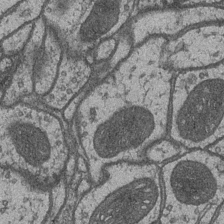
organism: Drosophila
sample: Optic medulla